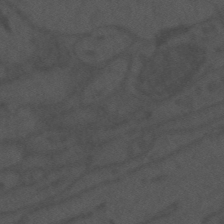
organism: Mouse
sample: Suprachiasmatic nucleus